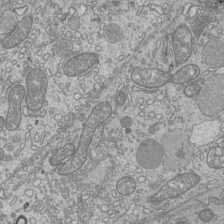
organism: Mouse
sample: Cilia; mouse epididymis